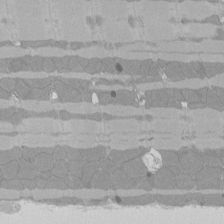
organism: Rat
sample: Left ventricle